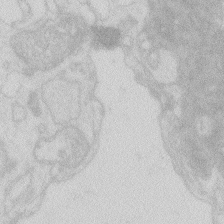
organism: Zebrafish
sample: Macrophage